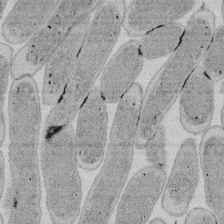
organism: E. coli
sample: Bacterial nucleoid